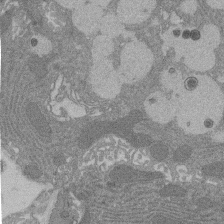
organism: Rat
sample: Salivary granule